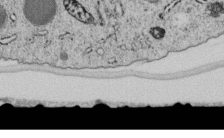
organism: C. elegans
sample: C. elegans embryo early stage